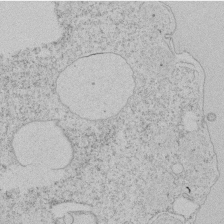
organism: Tetrahymena